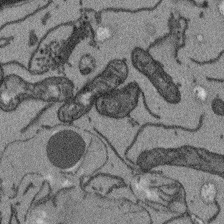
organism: Arabidopsis thaliana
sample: Root tip